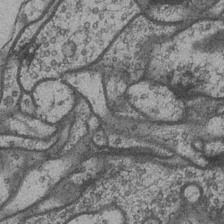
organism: Drosophila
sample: Optic medulla